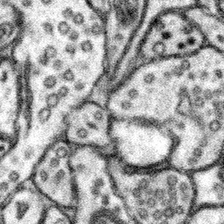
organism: Mouse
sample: Somatosensory cortex neuropil